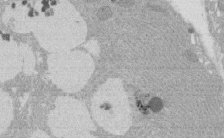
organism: Rat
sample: Salivary granule